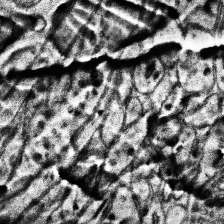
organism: Human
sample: Temporal Lobe